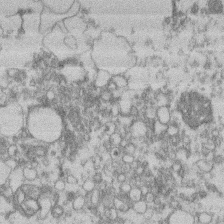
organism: Mouse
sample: T cell stromal cell synapse